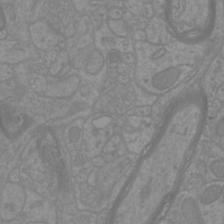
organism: Mouse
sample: Cortical neurons